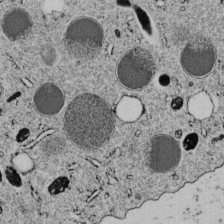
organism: C. elegans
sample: C. elegans embryo early stage